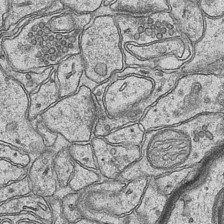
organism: Mouse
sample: CA1 Hippocampus